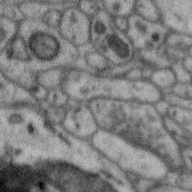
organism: Zebra finch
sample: Brain